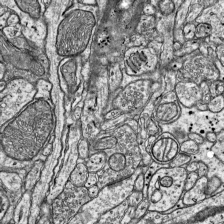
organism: Mouse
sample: Visual Cortex